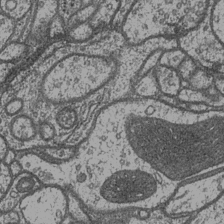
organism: Drosophila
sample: Optic medulla